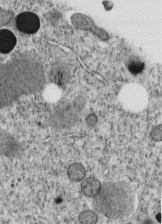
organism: C. elegans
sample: C. elegans embryo early stage